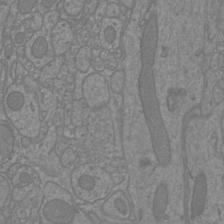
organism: Mouse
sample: Cortical neurons